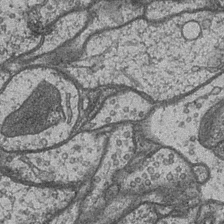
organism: Drosophila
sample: Optic medulla